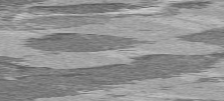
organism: C57BL Mouse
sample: Heart